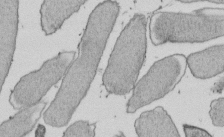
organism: E. coli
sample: Bacterial nucleoid